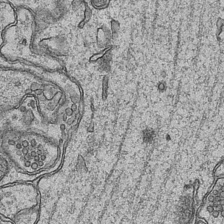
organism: Mouse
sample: CA1 Hippocampus